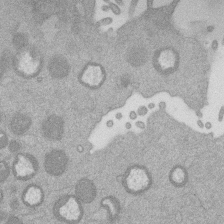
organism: Mouse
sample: Dividing mouse embryo 1 cell stage